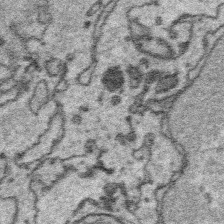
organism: Platynereis dumerilii